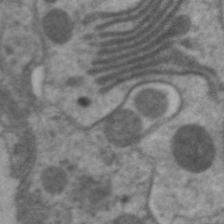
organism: C. elegans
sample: Pharynx